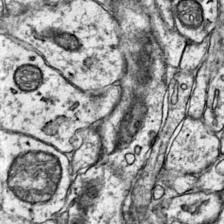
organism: Mouse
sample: Primary visual cortex